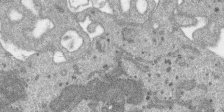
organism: Human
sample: Lung epithelial cells infected with SARS-CoV-2